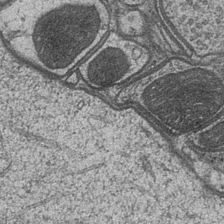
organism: Drosophila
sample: Optic medulla